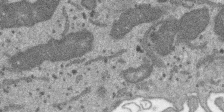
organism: Human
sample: Lung epithelial cells infected with SARS-CoV-2